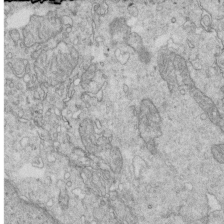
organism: Mouse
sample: Multiciliated cells